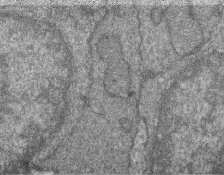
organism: Zebrafish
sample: Cilia; retinal pigment epithelium